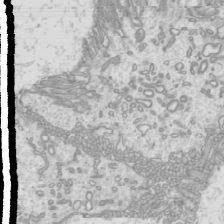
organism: Mouse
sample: Cilia; mouse epididymis